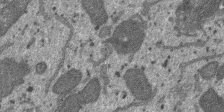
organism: Human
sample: Lung epithelial cells infected with SARS-CoV-2